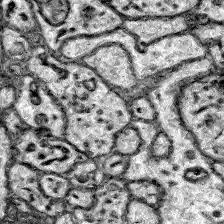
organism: Zebrafish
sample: Brain